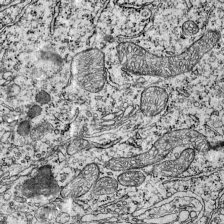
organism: Mouse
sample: Visual Cortex